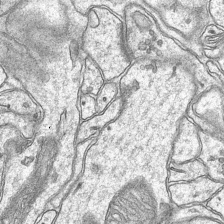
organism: Mouse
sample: CA1 Hippocampus